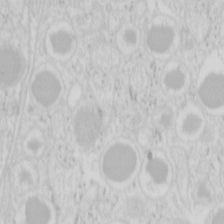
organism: Mouse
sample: Pancreas